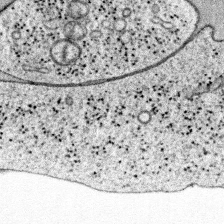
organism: Human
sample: HeLa cells